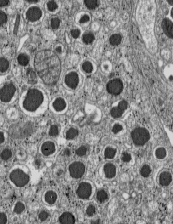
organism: C57BL Mouse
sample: Pancreatic islet